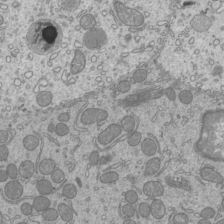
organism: Mouse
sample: Cilia; mouse epididymis